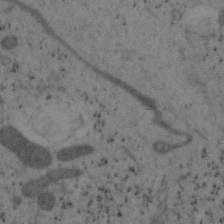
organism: Human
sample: HeLa cells